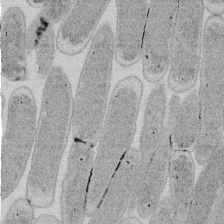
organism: E. coli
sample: Bacterial nucleoid